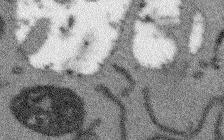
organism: Arabidopsis thaliana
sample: Root tip